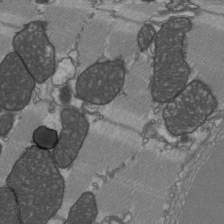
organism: C57BL Mouse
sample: Heart